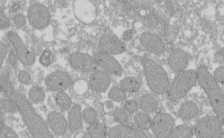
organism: Xenopus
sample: Cilia; centrioles in frog embryo cells